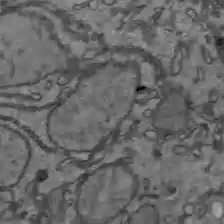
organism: C57BL Mouse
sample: Liver